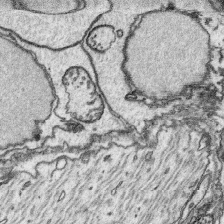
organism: Platynereis dumerilii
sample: Parapodia